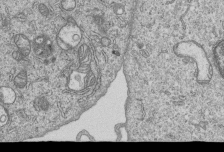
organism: Human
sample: MDA-MB-231 cells